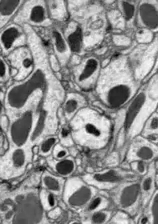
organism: Drosophila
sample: Optic lobe